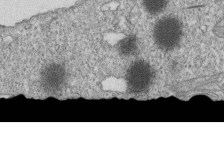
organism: Human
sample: HeLa cell HIV synapse